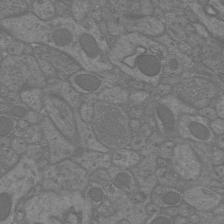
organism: Mouse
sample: Cortical neurons